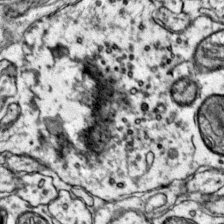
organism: Mouse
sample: Primary visual cortex